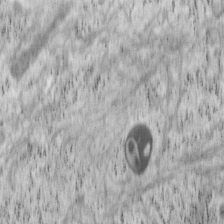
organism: Human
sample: HeLa cells